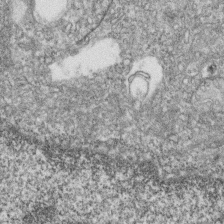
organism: Zebrafish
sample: Cilia; retinal pigment epithelium